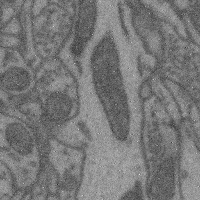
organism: Mouse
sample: Cerebral cortex